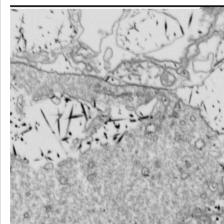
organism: Drosophila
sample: Cell division; meiosis; drosophila spermatocytes